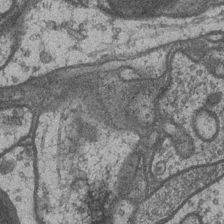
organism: Drosophila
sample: Optic medulla